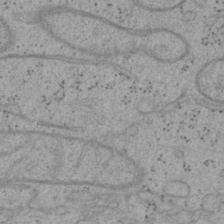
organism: Human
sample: HeLa cells